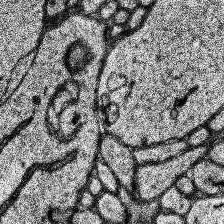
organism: Human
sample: Temporal Lobe